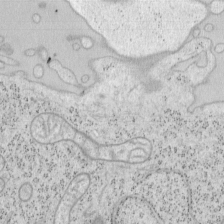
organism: Mouse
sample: OT-I killer T cells with ID8 ovarian cancer cells